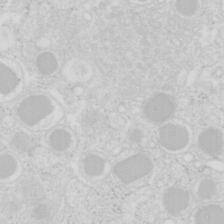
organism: Mouse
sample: Pancreas